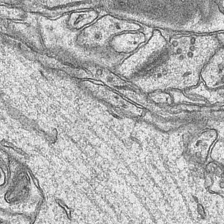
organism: Mouse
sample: CA1 Hippocampus